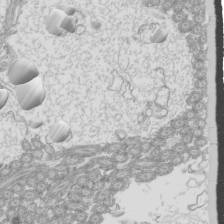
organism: Mouse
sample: Cilia; mouse epididymis